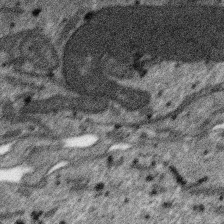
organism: Human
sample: Lung epithelial cells infected with SARS-CoV-2